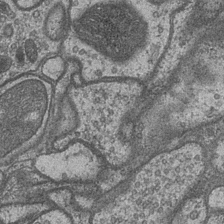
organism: Drosophila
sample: Optic medulla